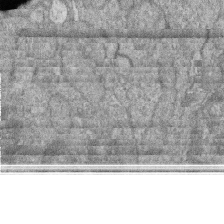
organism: Zebrafish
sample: Cilia; retinal pigment epithelium